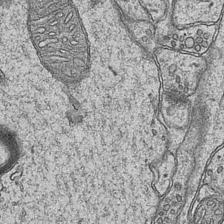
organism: Mouse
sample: CA1 Hippocampus